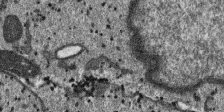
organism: Human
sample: Lung epithelial cells infected with SARS-CoV-2